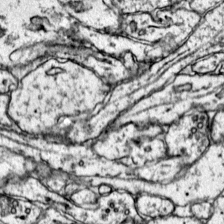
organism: Mouse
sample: Primary visual cortex